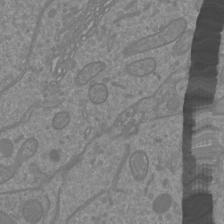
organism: Mouse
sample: Cortical neurons